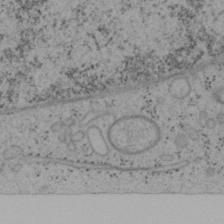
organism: Human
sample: HeLa cells